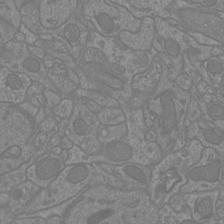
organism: Mouse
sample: Cortical neurons